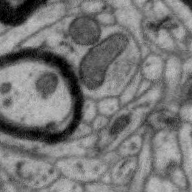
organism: Zebra finch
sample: Brain